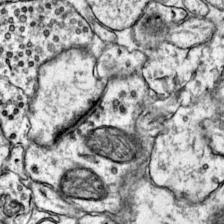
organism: Mouse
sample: Primary visual cortex